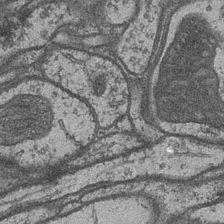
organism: Drosophila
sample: Optic medulla